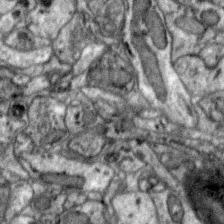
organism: Zebra finch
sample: Brain